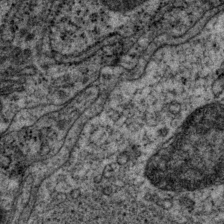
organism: P. pacificus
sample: Pharynx